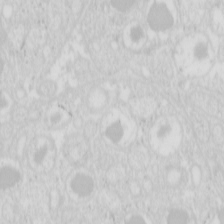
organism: Mouse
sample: Pancreas